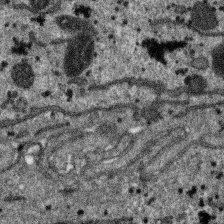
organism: Human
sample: Lung epithelial cells infected with SARS-CoV-2